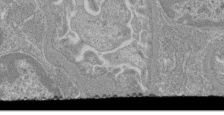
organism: Mouse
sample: Glomerulus